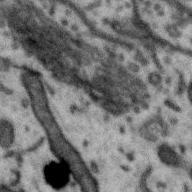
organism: Zebra finch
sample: Brain